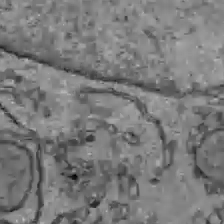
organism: C57BL Mouse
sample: Liver